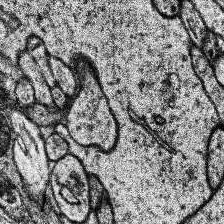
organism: Human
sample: Temporal Lobe